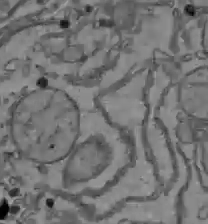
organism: C57BL Mouse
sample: Liver